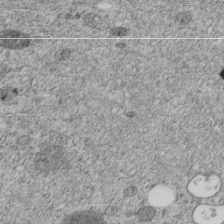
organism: C. elegans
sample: C. elegans embryo early stage